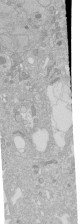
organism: Human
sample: Caco-2 cells